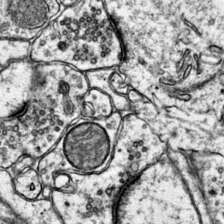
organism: Mouse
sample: Primary visual cortex